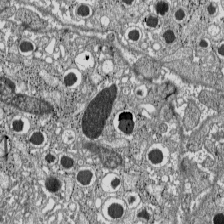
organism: C57BL Mouse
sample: Pancreatic islet